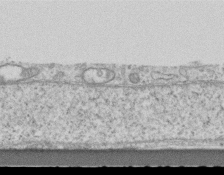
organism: Mouse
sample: Centriole in ependymal cells